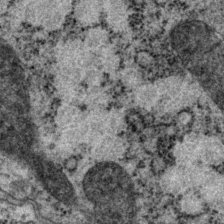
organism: P. pacificus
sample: Pharynx